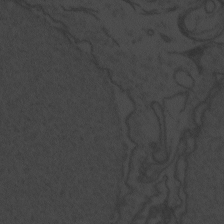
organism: Zebrafish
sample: Macrophage infected with Toxoplasma gondii